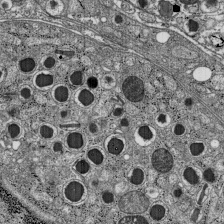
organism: C57BL Mouse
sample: Pancreatic islet